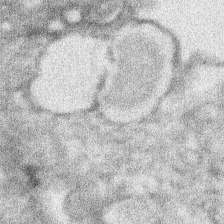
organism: Xenopus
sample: Cilia; centrioles in frog embryo cells